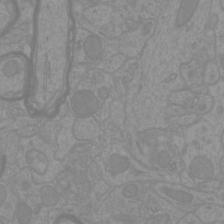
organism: Mouse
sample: Cortical neurons